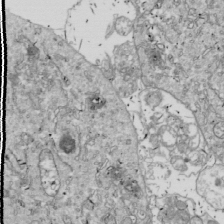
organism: Drosophila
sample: Cell division; meiosis; drosophila spermatocytes